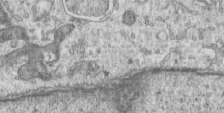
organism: Human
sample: Centriole in RPE cells